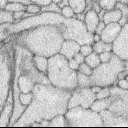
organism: Rabbit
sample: Retina